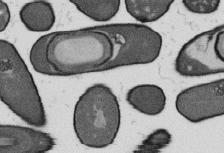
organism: B. subtilis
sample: Bacterial spore